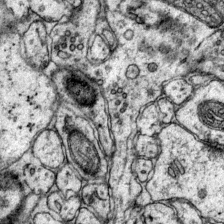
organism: Mouse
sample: Primary visual cortex